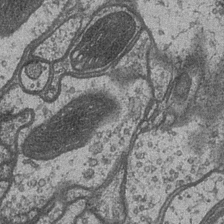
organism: Drosophila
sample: Optic medulla